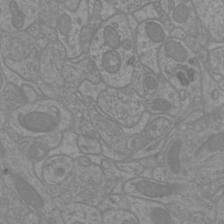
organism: Mouse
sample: Cortical neurons